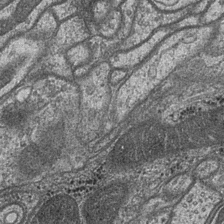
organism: Drosophila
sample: Optic medulla